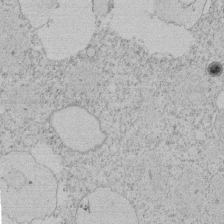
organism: Tetrahymena